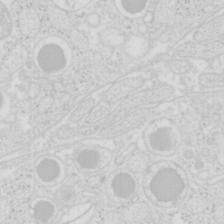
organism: Mouse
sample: Pancreas